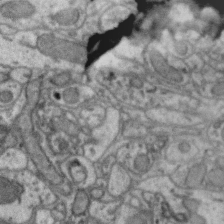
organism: Zebra finch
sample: Brain